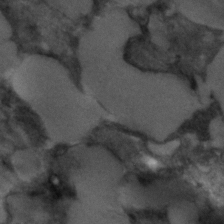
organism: C. elegans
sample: C. elegans embryo